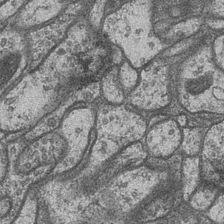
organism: Drosophila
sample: Optic medulla